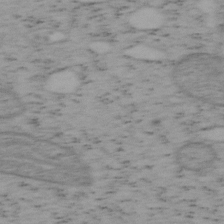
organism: Mouse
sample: OT-I killer T cells with ID8 ovarian cancer cells